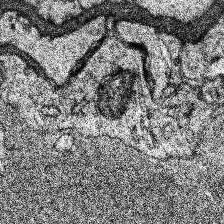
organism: Human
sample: Temporal Lobe